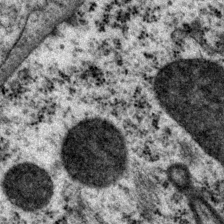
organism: P. pacificus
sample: Pharynx